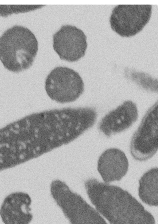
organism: E. coli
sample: Bacterial nucleoid